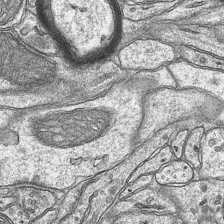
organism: Mouse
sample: CA1 Hippocampus